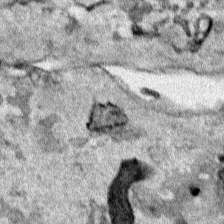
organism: Human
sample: Mitochondria in HCT116 cells